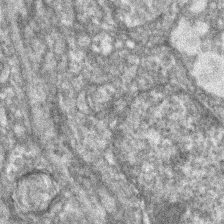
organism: Zebrafish